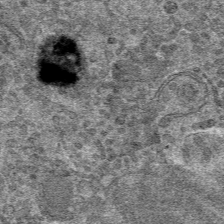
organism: Mouse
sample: Mouse hepatocytes